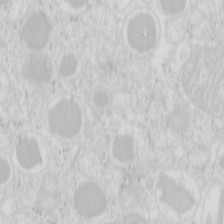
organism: Mouse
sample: Pancreas